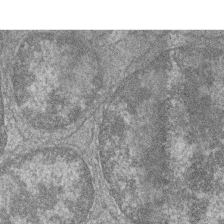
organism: Zebrafish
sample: Cilia; retinal pigment epithelium